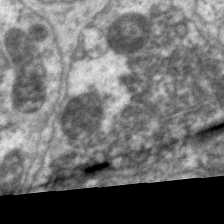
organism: C. elegans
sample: Pharynx